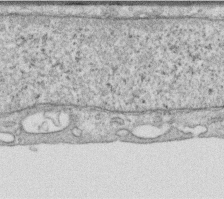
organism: Human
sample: Centriole in RPE cells